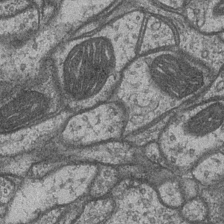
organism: Drosophila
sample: Optic medulla